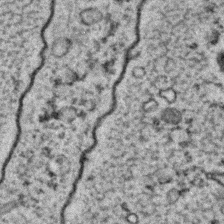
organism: C. elegans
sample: C. elegans embryo